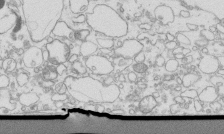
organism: Mouse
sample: Macrophages